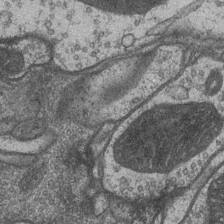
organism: Drosophila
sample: Optic medulla